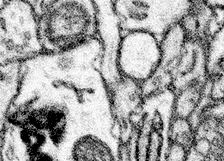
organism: Mouse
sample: Somatosensory cortex neuropil